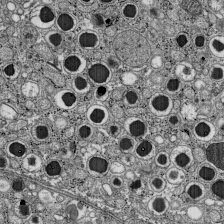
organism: C57BL Mouse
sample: Pancreatic islet